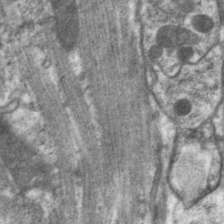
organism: C. elegans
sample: Pharynx